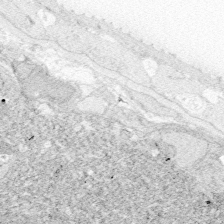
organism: Zebrafish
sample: Whole-Brain